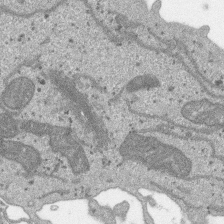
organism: Human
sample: Lung epithelial cells infected with SARS-CoV-2